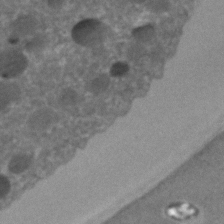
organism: C. elegans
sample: C. elegans embryo